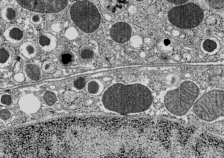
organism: C57BL Mouse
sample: Pancreatic islet